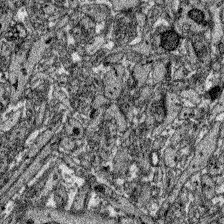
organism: Zebrafish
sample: Larval olfactory bulb